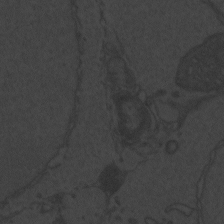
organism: Zebrafish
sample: Macrophage infected with Toxoplasma gondii